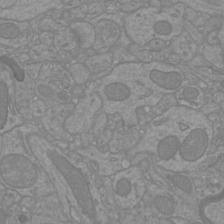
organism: Mouse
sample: Cortical neurons